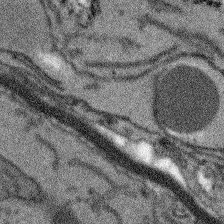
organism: Arabidopsis thaliana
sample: Root tip